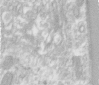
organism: Human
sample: Centriole in RPE cells